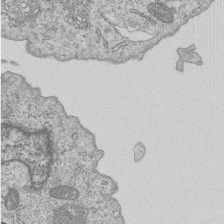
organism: Human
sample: MDA-MB-231 cells